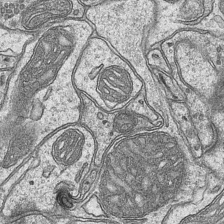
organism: Mouse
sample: CA1 Hippocampus